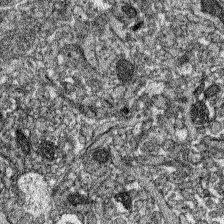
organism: Zebrafish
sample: Larval olfactory bulb